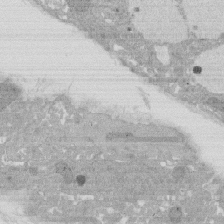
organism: Rat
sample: Salivary granule